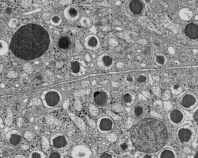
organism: C57BL Mouse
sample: Pancreatic islet